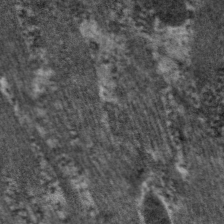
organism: C. elegans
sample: Pharynx